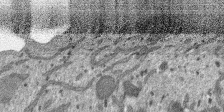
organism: Human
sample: Lung epithelial cells infected with SARS-CoV-2